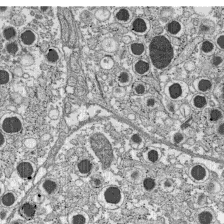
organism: C57BL Mouse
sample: Pancreatic islet